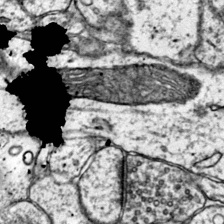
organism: Mouse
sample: Primary visual cortex